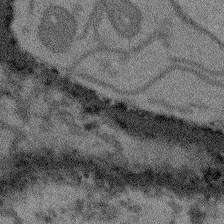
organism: Arabidopsis thaliana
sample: Root tip